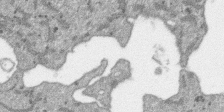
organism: Human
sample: Lung epithelial cells infected with SARS-CoV-2